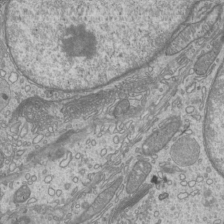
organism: Mouse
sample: Cilia; mouse epididymis